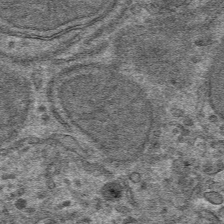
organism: Mouse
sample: Mouse hepatocytes